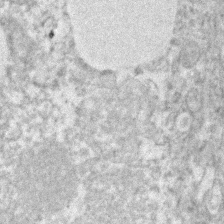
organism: Human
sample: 1205lu cells